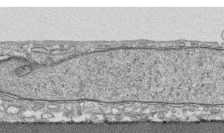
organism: Human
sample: CRL-1474